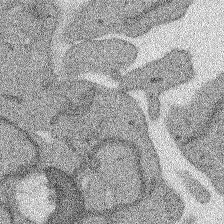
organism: Human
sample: HeLa cells